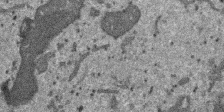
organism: Human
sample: Lung epithelial cells infected with SARS-CoV-2